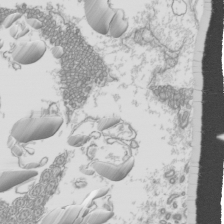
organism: Mouse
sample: Cilia; mouse epididymis